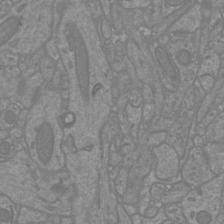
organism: Mouse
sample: Cortical neurons